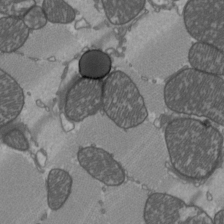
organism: C57BL Mouse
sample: Heart